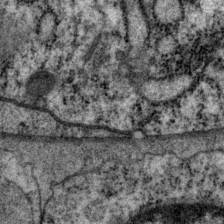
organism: P. pacificus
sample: Pharynx